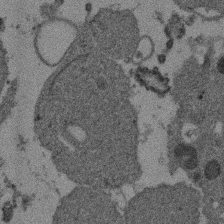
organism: Mouse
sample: Dividing mouse embryo 1 cell stage